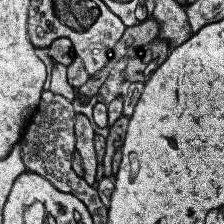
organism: Human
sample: Temporal Lobe